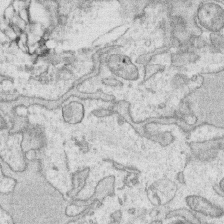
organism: Human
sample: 1205lu cells